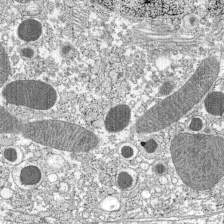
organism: C57BL Mouse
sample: Pancreatic islet